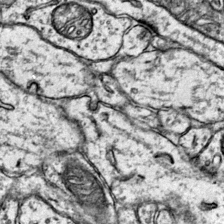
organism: Mouse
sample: Primary visual cortex